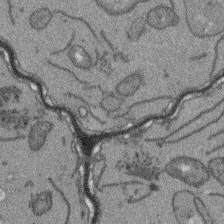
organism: Arabidopsis thaliana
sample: Root tip